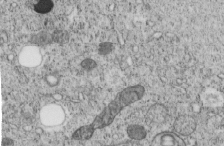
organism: C. elegans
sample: C. elegans embryo early stage